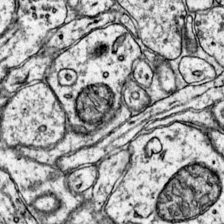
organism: Mouse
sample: Primary visual cortex